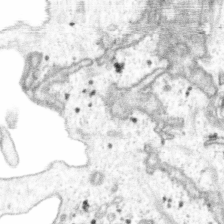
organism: Human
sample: HeLa cells